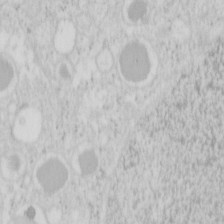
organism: Mouse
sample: Pancreas